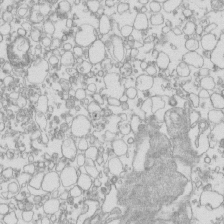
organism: Mouse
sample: Macrophages